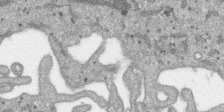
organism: Human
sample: Lung epithelial cells infected with SARS-CoV-2